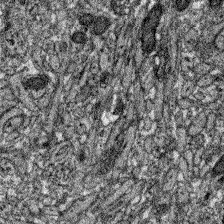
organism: Zebrafish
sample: Larval olfactory bulb